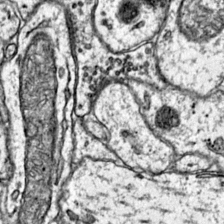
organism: Mouse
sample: Primary visual cortex